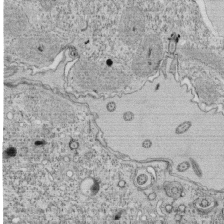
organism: Tetrahymena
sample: Cilia in tetrahymena